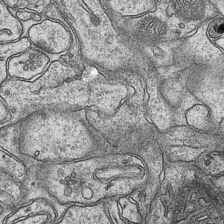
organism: Mouse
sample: CA1 Hippocampus